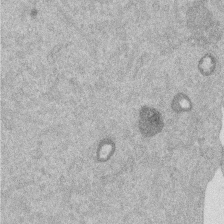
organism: Mouse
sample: Dividing mouse embryo 1 cell stage